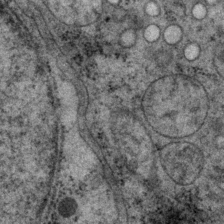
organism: P. pacificus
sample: Pharynx